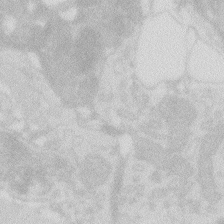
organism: Zebrafish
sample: Macrophage